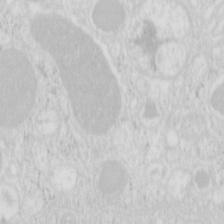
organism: Mouse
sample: Pancreas